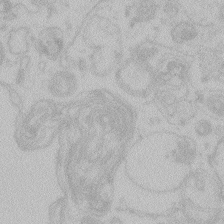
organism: Zebrafish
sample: Macrophage infected with Toxoplasma gondii